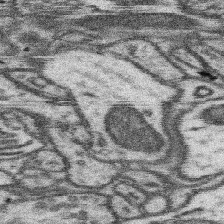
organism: Mouse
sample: Somatosensory cortex neuropil